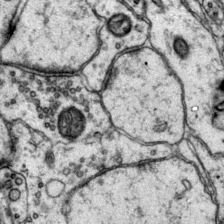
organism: Mouse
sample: Primary visual cortex